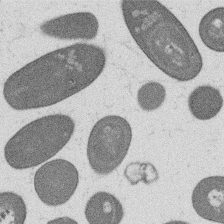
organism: B. subtilis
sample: Bacterial spore